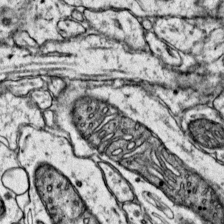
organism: Mouse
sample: Primary visual cortex